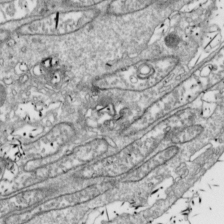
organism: Drosophila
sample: Cell division; meiosis; drosophila spermatocytes